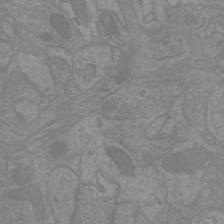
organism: Mouse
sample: Cortical neurons